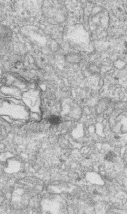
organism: Human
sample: HeLa cell HIV synapse